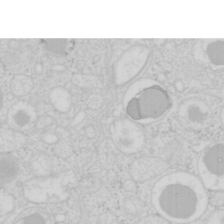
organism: Mouse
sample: Pancreas